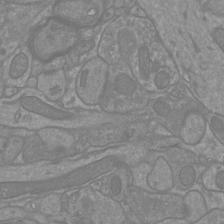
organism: Mouse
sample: Cortical neurons